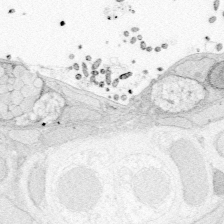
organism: Zebrafish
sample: Whole-Brain